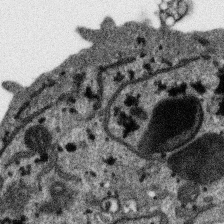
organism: Human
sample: Lung epithelial cells infected with SARS-CoV-2